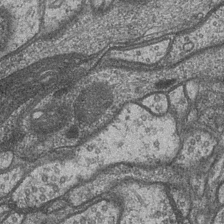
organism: Drosophila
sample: Optic medulla